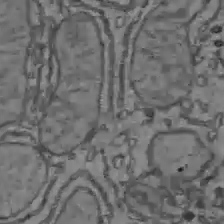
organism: C57BL Mouse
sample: Liver